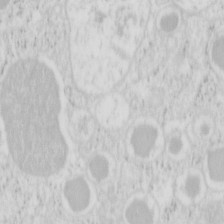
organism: Mouse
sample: Pancreas